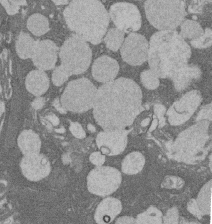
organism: Rat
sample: Salivary granule